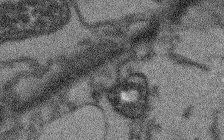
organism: Arabidopsis thaliana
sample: Root tip